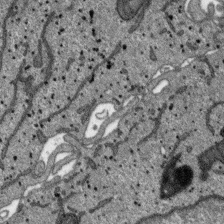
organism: Human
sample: Lung epithelial cells, uninfected (mock) control